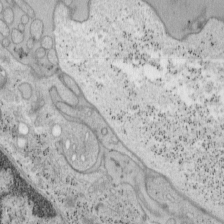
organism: Mouse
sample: OT-I killer T cells with ID8 ovarian cancer cells